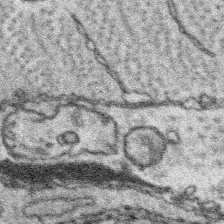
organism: Platynereis dumerilii